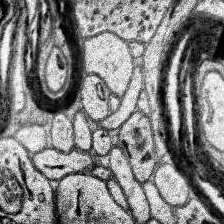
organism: Human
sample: Temporal Lobe